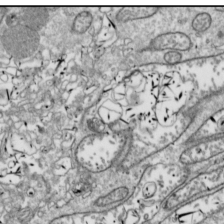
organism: Drosophila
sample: Cell division; meiosis; drosophila spermatocytes